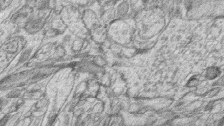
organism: Zebrafish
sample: synaptic ribbons in rod cells and cone cells